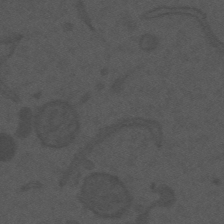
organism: Mouse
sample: Suprachiasmatic nucleus